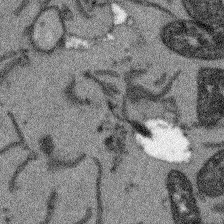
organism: Arabidopsis thaliana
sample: Root tip